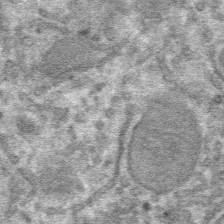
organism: Mouse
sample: Mouse hepatocytes